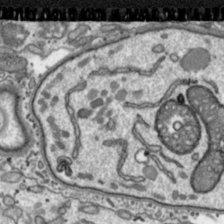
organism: Toxoplasma gondii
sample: Parasites in a vacuole inside a host cell